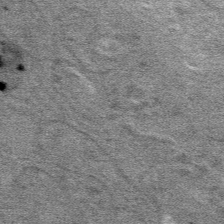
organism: Mouse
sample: Mouse hepatocytes